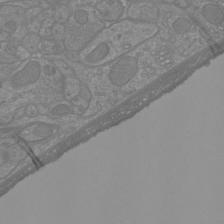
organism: Mouse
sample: Cortical neurons